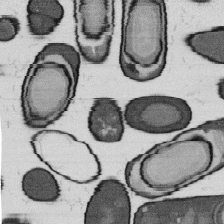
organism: B. subtilis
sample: Bacterial spore